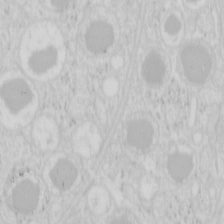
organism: Mouse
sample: Pancreas